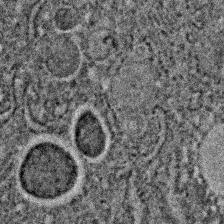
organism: C. elegans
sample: C. elegans embryo